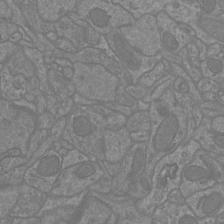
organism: Mouse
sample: Cortical neurons